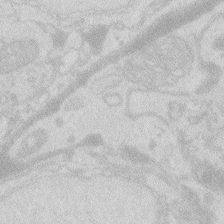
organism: Zebrafish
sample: Macrophage